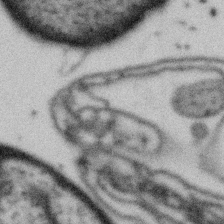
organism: Gemmata obscuriglobus